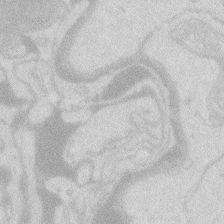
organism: Zebrafish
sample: Macrophage